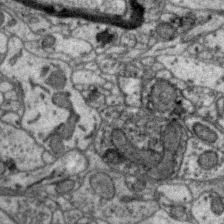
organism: Zebra finch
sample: Brain